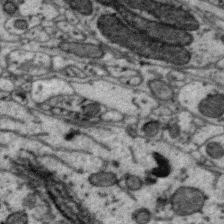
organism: Zebra finch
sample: Brain